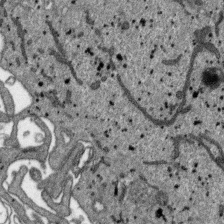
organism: Human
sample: Lung epithelial cells, uninfected (mock) control